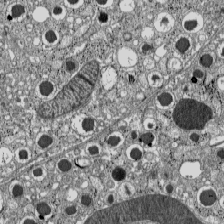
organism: C57BL Mouse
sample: Pancreatic islet